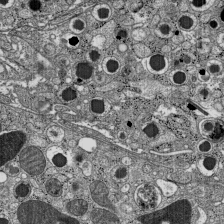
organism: C57BL Mouse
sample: Pancreatic islet